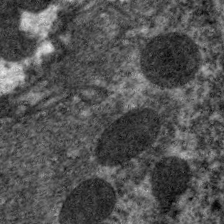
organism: C. elegans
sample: Pharynx